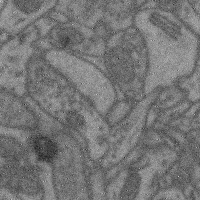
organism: Mouse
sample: Cerebral cortex